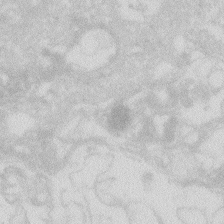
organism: Zebrafish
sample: Macrophage